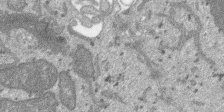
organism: Human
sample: Lung epithelial cells infected with SARS-CoV-2